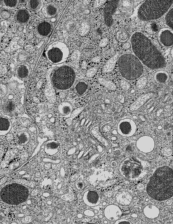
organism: C57BL Mouse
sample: Pancreatic islet